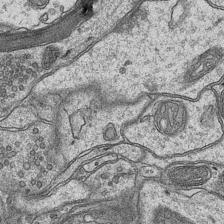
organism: Mouse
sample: CA1 Hippocampus